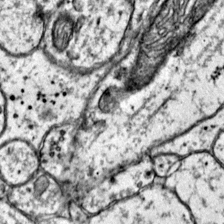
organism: Mouse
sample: Primary visual cortex